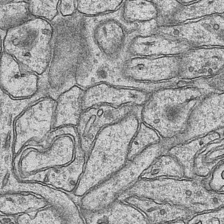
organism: Mouse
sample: CA1 Hippocampus